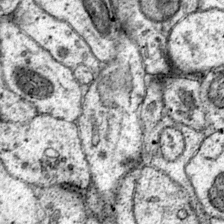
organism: Mouse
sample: Primary visual cortex